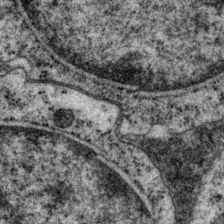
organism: P. pacificus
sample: Pharynx